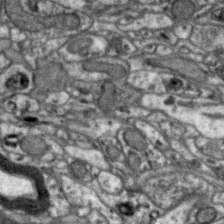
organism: Zebra finch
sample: Brain